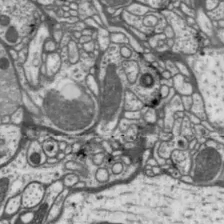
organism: Drosophila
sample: Protocerebral bridge